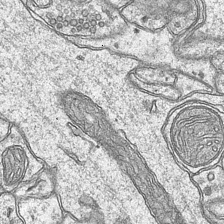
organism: Mouse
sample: CA1 Hippocampus